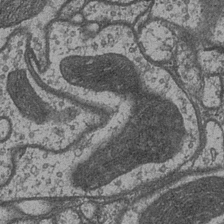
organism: Drosophila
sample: Optic medulla